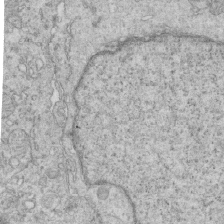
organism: Mouse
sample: Multiciliated cells